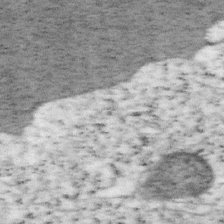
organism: Mouse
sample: OT-I killer T cells with ID8 ovarian cancer cells